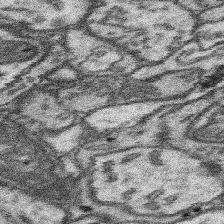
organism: Mouse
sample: Somatosensory cortex neuropil